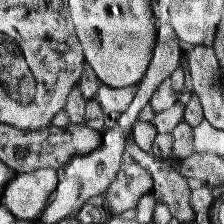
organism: Human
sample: Temporal Lobe